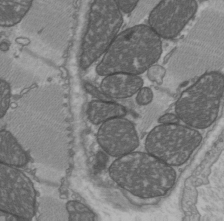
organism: C57BL Mouse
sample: Heart